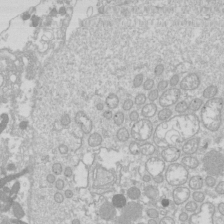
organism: Drosophila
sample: Cell division; meiosis; drosophila spermatocytes